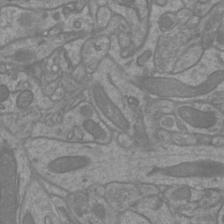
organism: Mouse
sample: Cortical neurons